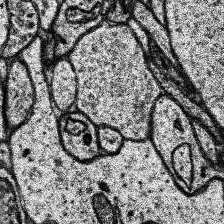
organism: Human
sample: Temporal Lobe